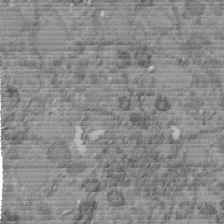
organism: C. elegans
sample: C. elegans embryo early stage